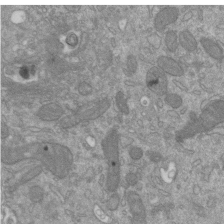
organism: Mouse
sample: ED-1 cell nuclei; centrioles